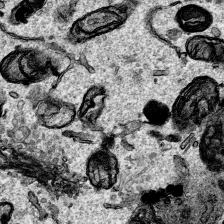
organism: Human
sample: Mitochondria in HCT116 cells